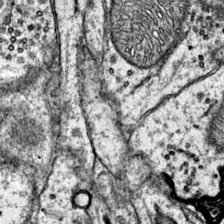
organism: Mouse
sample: Primary visual cortex